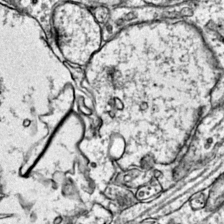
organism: Mouse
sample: Primary visual cortex